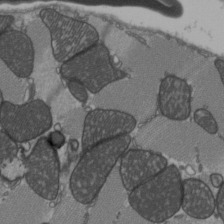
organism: C57BL Mouse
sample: Heart